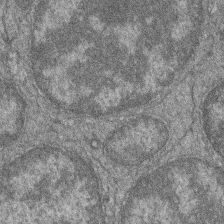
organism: Zebrafish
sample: Cilia; retinal pigment epithelium